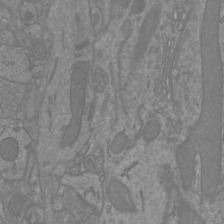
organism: Mouse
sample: Cortical neurons